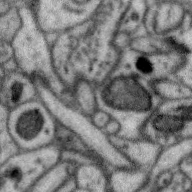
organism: Zebra finch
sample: Brain